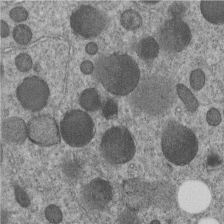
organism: C. elegans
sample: C. elegans embryo early stage